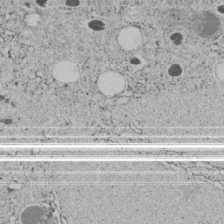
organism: C. elegans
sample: C. elegans embryo early stage